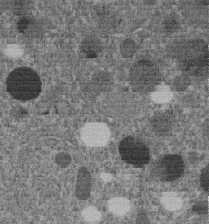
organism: C. elegans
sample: C. elegans embryo early stage